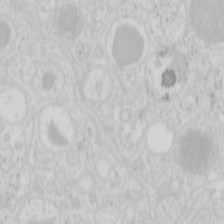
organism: Mouse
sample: Pancreas